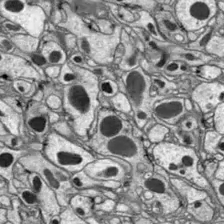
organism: Drosophila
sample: Optic lobe